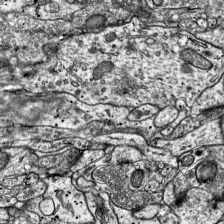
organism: Mouse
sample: Visual Cortex